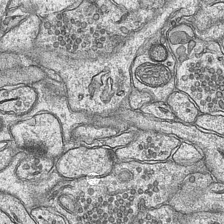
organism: Mouse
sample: CA1 Hippocampus